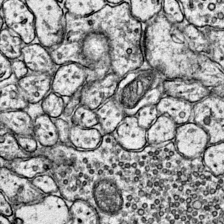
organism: Mouse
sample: Primary visual cortex